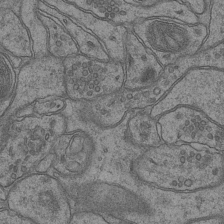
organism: Mouse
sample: CA1 Hippocampus